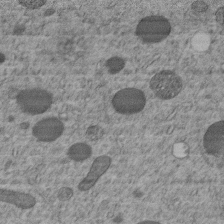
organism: C. elegans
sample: C. elegans embryo early stage